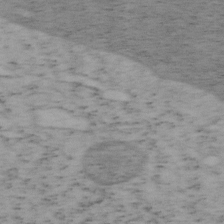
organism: Mouse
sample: OT-I killer T cells with ID8 ovarian cancer cells